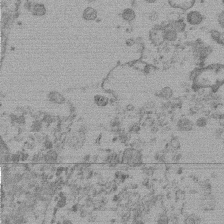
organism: Mouse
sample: Dividing mouse embryo 1 cell stage